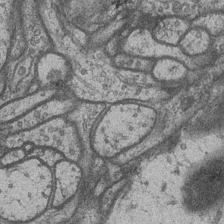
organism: Drosophila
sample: Optic medulla